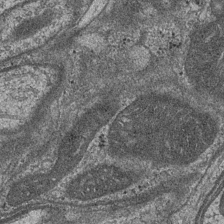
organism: Drosophila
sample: Optic medulla